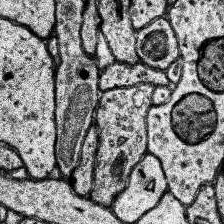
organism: Human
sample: Temporal Lobe